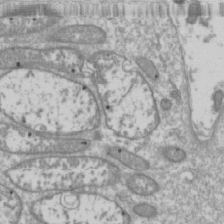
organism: Drosophila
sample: Cell division; meiosis; drosophila spermatocytes